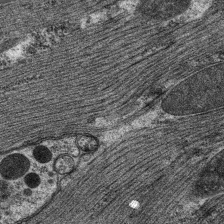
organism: C. elegans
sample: Pharynx